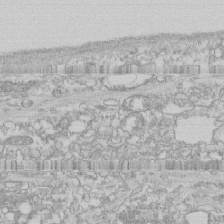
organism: Human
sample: CRL-1474